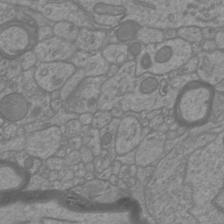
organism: Mouse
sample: Cortical neurons